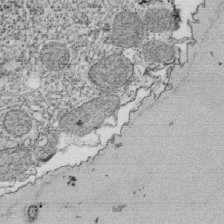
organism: Tetrahymena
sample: Cilia in tetrahymena